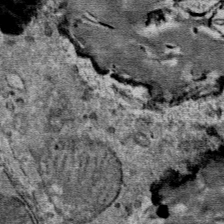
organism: Mouse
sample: Mouse Salivary gland